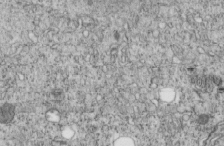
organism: C. elegans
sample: C. elegans embryo early stage